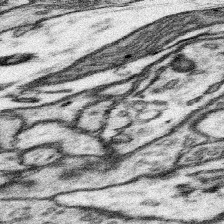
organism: Mouse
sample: Somatosensory cortex neuropil